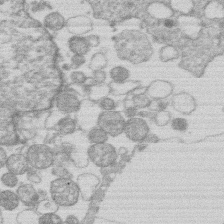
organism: Human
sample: Macrophage cells